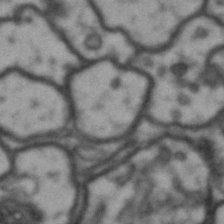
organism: Drosophila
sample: Brain